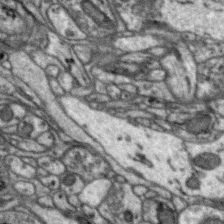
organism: Zebra finch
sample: Brain